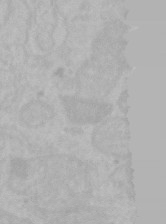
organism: Mouse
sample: Choroid plexus